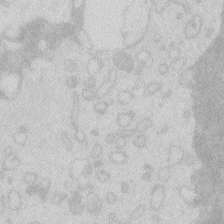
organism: Zebrafish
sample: Macrophage